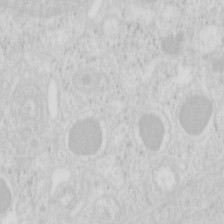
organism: Mouse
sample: Pancreas